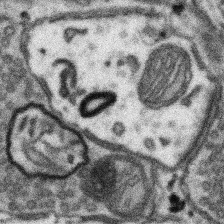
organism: Mouse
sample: Somatosensory cortex neuropil